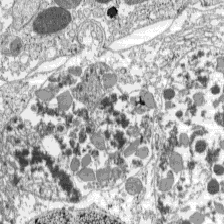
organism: C57BL Mouse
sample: Pancreatic islet